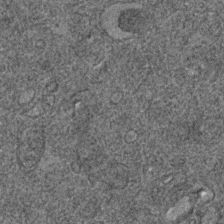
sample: Trachea